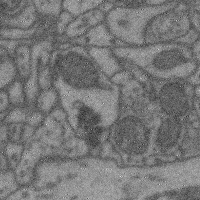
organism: Mouse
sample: Cerebral cortex